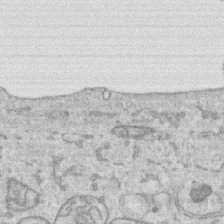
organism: Human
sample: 1205lu cells